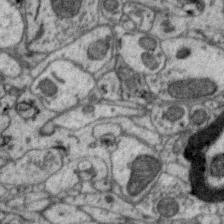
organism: Zebra finch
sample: Brain